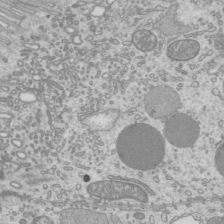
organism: Mouse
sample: Cilia; mouse epididymis